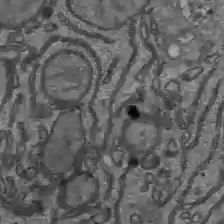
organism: C57BL Mouse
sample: Liver